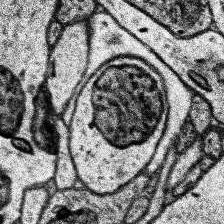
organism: Human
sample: Temporal Lobe